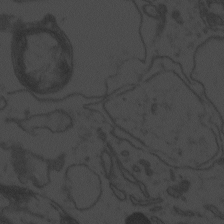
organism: Zebrafish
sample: Macrophage infected with Toxoplasma gondii